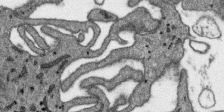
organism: Human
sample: Lung epithelial cells, uninfected (mock) control